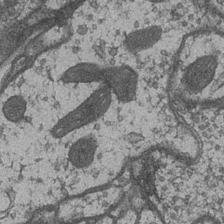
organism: Drosophila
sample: Optic medulla